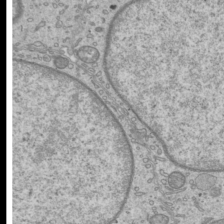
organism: Mouse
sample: Cilia; mouse epididymis